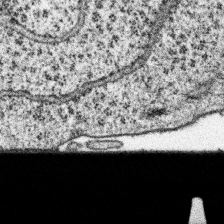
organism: Human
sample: HeLa cells